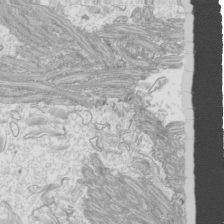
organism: Mouse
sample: Cilia; mouse epididymis